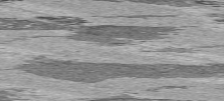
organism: C57BL Mouse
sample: Heart